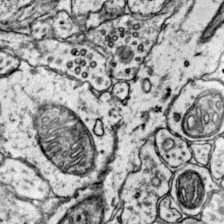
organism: Mouse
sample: Primary visual cortex